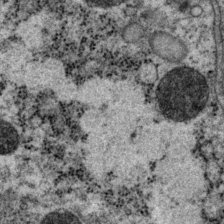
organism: P. pacificus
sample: Pharynx